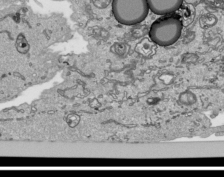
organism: Human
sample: Mitochondria in HCT116 cells